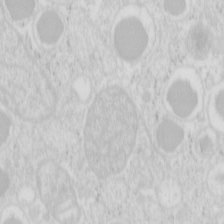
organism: Mouse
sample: Pancreas